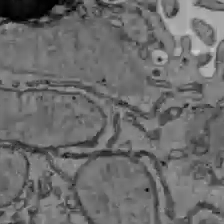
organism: C57BL Mouse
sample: Liver